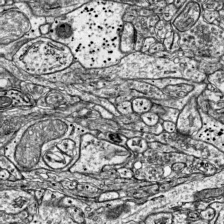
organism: Mouse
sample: Visual Cortex